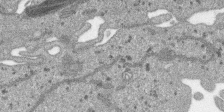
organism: Human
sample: Lung epithelial cells infected with SARS-CoV-2